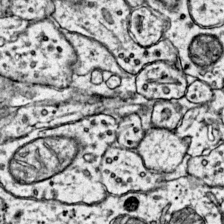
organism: Mouse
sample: Primary visual cortex